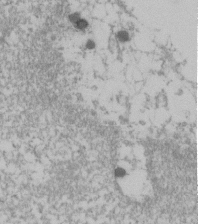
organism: Human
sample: U2-OS cells